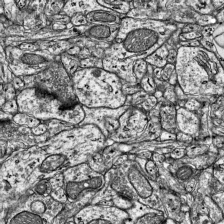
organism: Mouse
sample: Visual Cortex